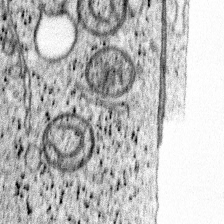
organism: Human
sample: HeLa cells